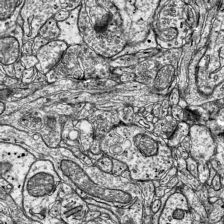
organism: Mouse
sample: Visual Cortex